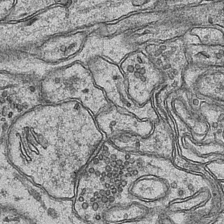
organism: Mouse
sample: CA1 Hippocampus